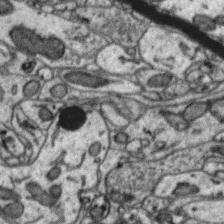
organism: Zebra finch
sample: Brain